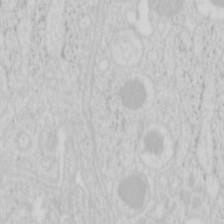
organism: Mouse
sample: Pancreas